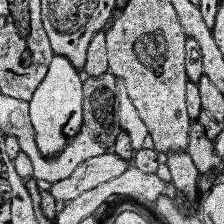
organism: Human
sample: Temporal Lobe